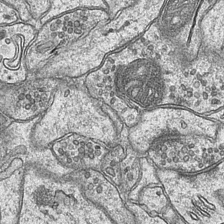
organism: Mouse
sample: CA1 Hippocampus